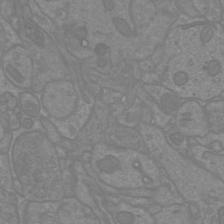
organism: Mouse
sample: Cortical neurons